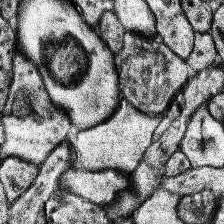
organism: Human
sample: Temporal Lobe